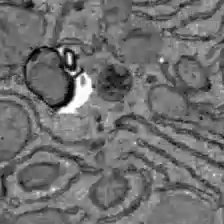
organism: C57BL Mouse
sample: Liver